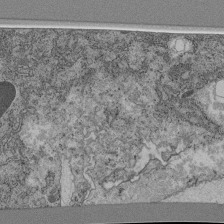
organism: C. elegans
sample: C. elegans pharynx